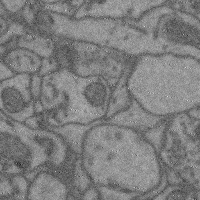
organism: Mouse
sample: Cerebral cortex